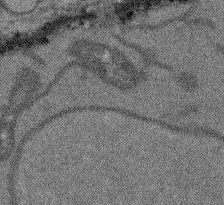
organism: Arabidopsis thaliana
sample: Root tip